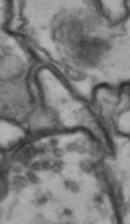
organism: Drosophila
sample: Brain